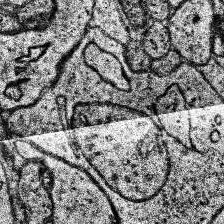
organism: Human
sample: Temporal Lobe